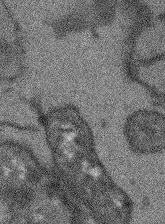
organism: Arabidopsis thaliana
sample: Root tip